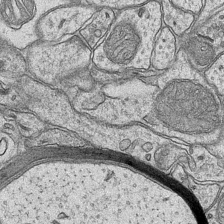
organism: Mouse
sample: CA1 Hippocampus